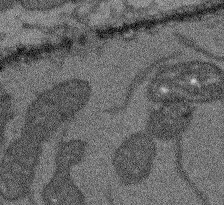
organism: Arabidopsis thaliana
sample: Root tip